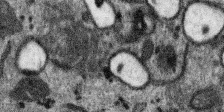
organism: Human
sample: Lung epithelial cells infected with SARS-CoV-2